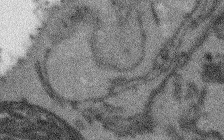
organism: Arabidopsis thaliana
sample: Root tip